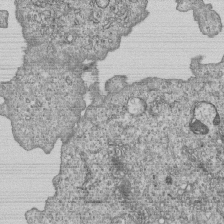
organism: Human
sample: MDA-MB-231 cells